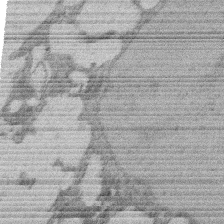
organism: Rat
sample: Salivary granule